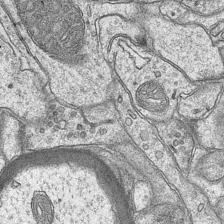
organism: Mouse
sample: CA1 Hippocampus